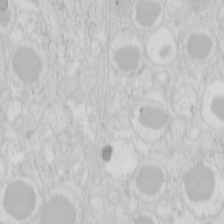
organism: Mouse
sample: Pancreas